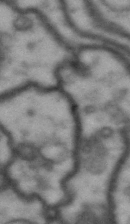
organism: Drosophila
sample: Brain